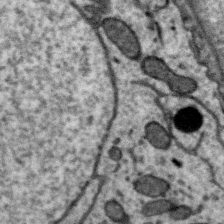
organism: Zebra finch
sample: Brain